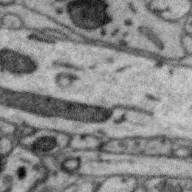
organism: Zebra finch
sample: Brain